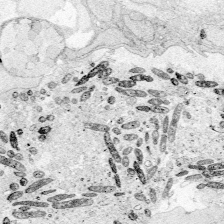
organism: Zebrafish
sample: Whole-Brain